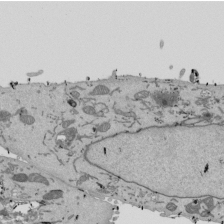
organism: Mouse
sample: ED-1 cell nuclei; centrioles